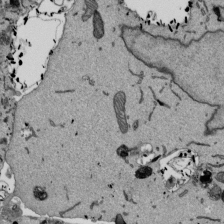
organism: Mouse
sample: ED-1 cell nuclei; centrioles